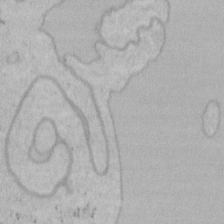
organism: Human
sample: HeLa cells